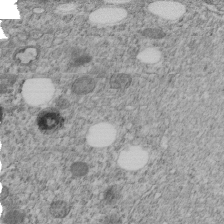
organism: C. elegans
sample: C. elegans embryo early stage